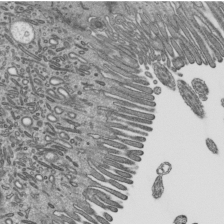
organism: Mouse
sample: Mouse epididymis efferent ductule cilia